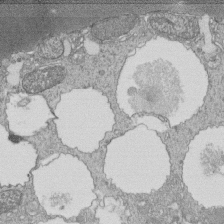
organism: Tetrahymena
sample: Cilia in tetrahymena